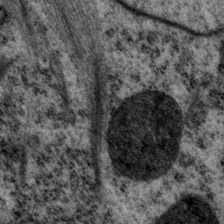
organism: P. pacificus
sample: Pharynx